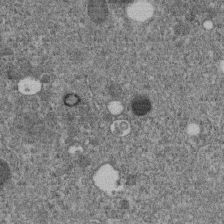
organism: C. elegans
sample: C. elegans embryo early stage